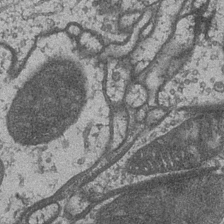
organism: Drosophila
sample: Optic medulla